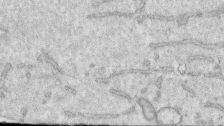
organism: Human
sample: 1205lu cells